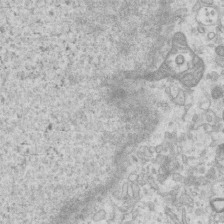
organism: Mouse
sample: Centriole in ependymal cells